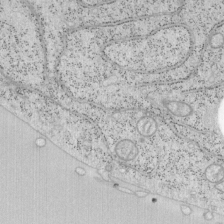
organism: Mouse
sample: OT-I killer T cells with ID8 ovarian cancer cells